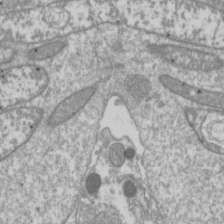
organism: Drosophila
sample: Cell division; meiosis; drosophila spermatocytes